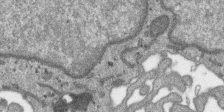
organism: Human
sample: Lung epithelial cells infected with SARS-CoV-2